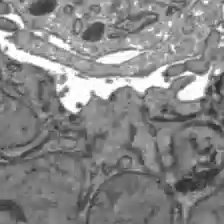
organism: C57BL Mouse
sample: Liver